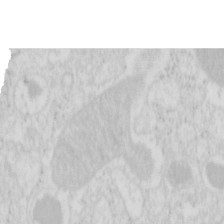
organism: Mouse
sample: Pancreas